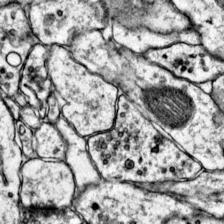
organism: Mouse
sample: Primary visual cortex